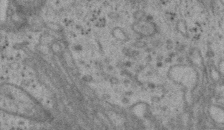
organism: Human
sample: HeLa cells